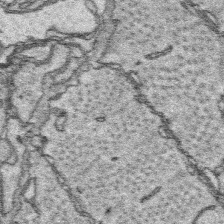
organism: Platynereis dumerilii